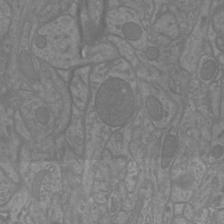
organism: Mouse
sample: Cortical neurons